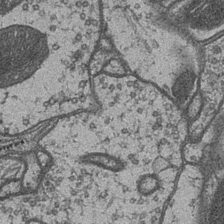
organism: Drosophila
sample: Optic medulla